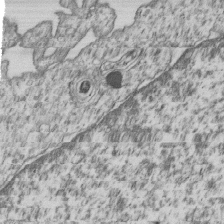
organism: Human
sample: MDA-MB-231 cells